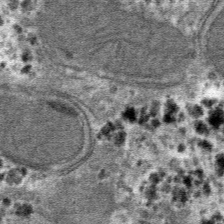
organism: Mouse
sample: Mouse hepatocytes